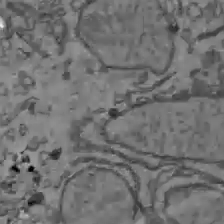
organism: C57BL Mouse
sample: Liver